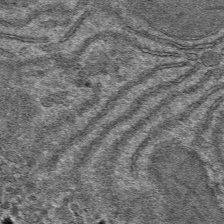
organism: Mouse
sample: Mouse hepatocytes